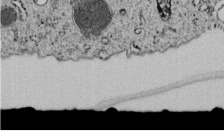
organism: C. elegans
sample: C. elegans embryo early stage